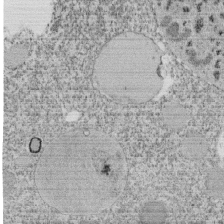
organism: Tetrahymena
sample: Cilia in tetrahymena